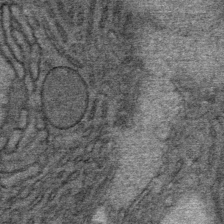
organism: Mouse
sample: Mouse Salivary gland